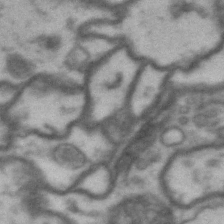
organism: Drosophila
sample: Brain